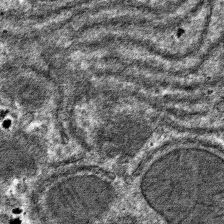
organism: Mouse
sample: Mouse hepatocytes